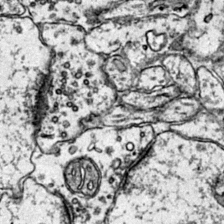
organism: Mouse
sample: Primary visual cortex